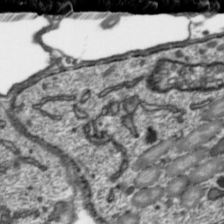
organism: Toxoplasma gondii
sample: Parasites in a vacuole inside a host cell